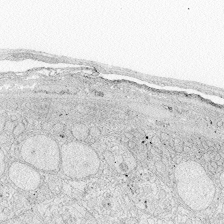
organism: Zebrafish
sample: Whole-Brain